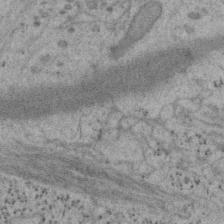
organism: Human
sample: HeLa cells